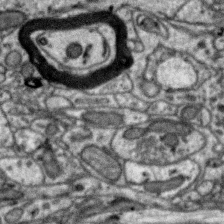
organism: Zebra finch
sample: Brain